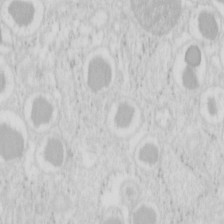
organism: Mouse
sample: Pancreas